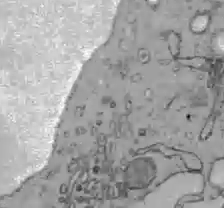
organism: C57BL Mouse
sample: Liver